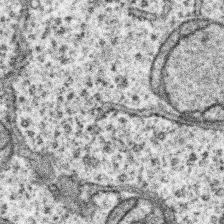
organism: Human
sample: HeLa cells